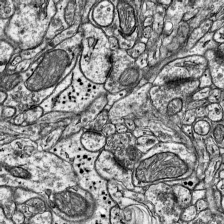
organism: Mouse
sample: Visual Cortex